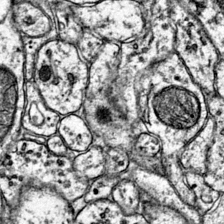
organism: Mouse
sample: Primary visual cortex